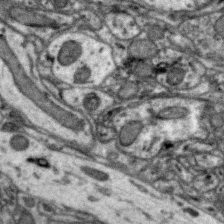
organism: Zebra finch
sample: Brain